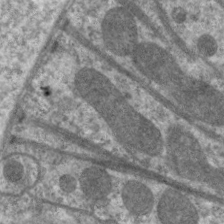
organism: C. elegans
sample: Pharynx